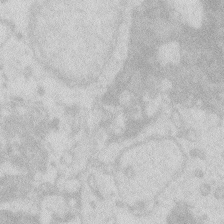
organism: Zebrafish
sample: Macrophage